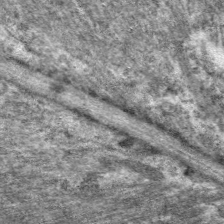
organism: C. elegans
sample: Pharynx